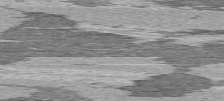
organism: C57BL Mouse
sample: Heart